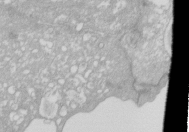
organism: Xenopus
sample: Cilia; centrioles in frog embryo cells